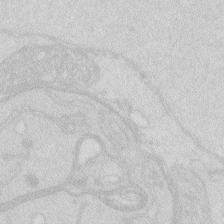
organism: Zebrafish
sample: Macrophage